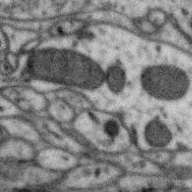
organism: Zebra finch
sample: Brain